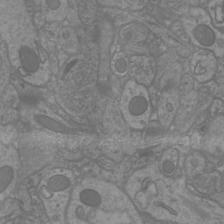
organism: Mouse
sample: Cortical neurons